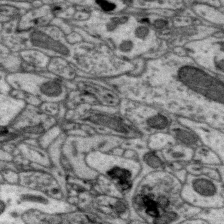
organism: Zebra finch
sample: Brain